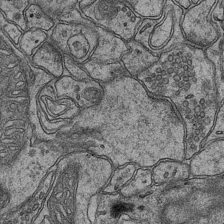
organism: Mouse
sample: CA1 Hippocampus